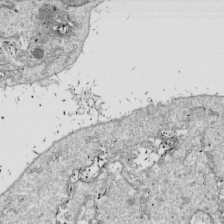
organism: Drosophila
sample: Cell division; meiosis; drosophila spermatocytes